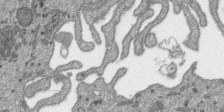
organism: Human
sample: Lung epithelial cells infected with SARS-CoV-2